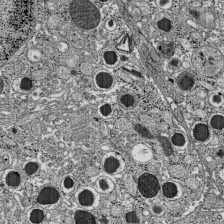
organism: C57BL Mouse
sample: Pancreatic islet